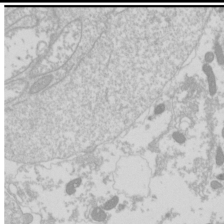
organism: Drosophila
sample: Cell division; meiosis; drosophila spermatocytes